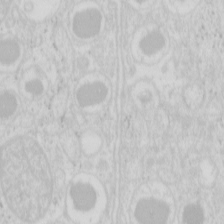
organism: Mouse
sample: Pancreas